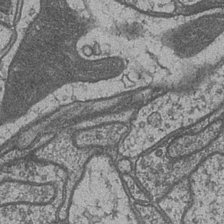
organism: Drosophila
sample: Optic medulla